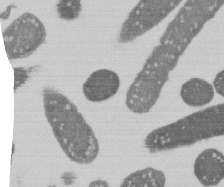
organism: E. coli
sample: Bacterial nucleoid